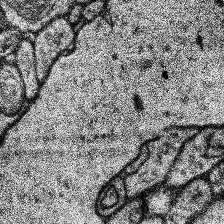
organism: Human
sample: Temporal Lobe